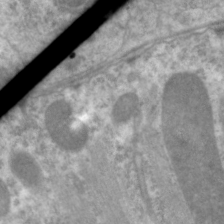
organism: C. elegans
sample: Pharynx